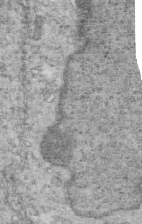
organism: Mouse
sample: Multiciliated cells